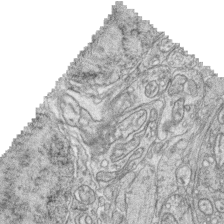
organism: Zebrafish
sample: synaptic ribbons in rod cells and cone cells